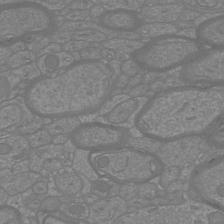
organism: Mouse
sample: Cortical neurons